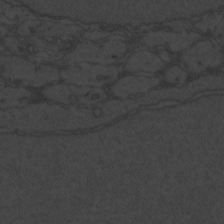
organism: Zebrafish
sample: Macrophage infected with Toxoplasma gondii